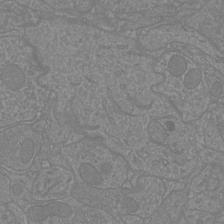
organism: Mouse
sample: Cortical neurons